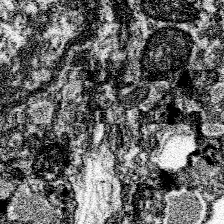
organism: Spongilla lacustris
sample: Neuroid cell